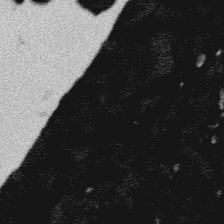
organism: Platynereis dumerilii